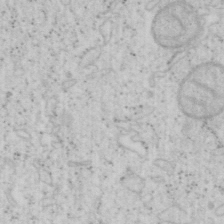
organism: Human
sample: HeLa cells